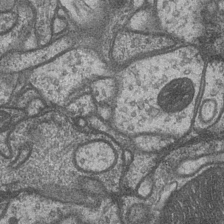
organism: Drosophila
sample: Optic medulla